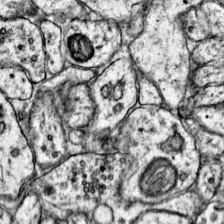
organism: Mouse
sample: Primary visual cortex